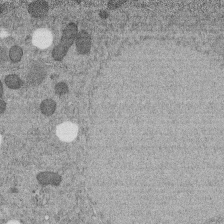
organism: C. elegans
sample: C. elegans embryo early stage